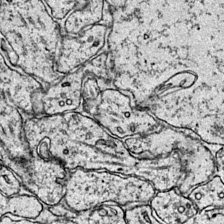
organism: Mouse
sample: Primary visual cortex